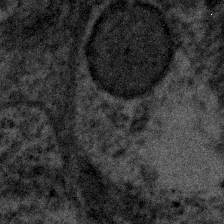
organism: Human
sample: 1205lu cells